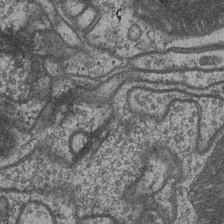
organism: Drosophila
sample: Optic medulla